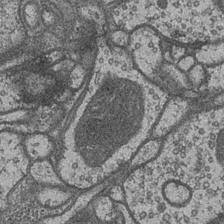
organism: Drosophila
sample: Optic medulla